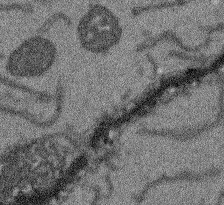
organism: Arabidopsis thaliana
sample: Root tip